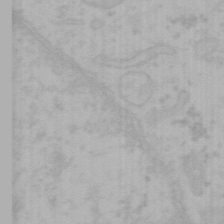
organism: Mouse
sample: Choroid plexus